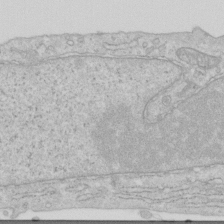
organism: Human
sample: Centriole in RPE cells